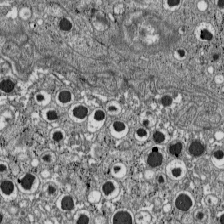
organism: C57BL Mouse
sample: Pancreatic islet